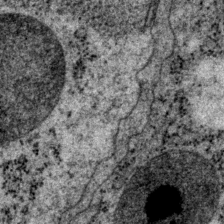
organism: P. pacificus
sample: Pharynx